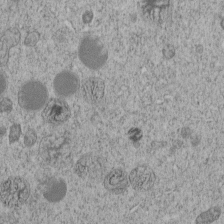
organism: C. elegans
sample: C. elegans embryo early stage